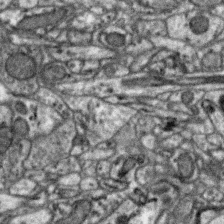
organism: Zebra finch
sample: Brain